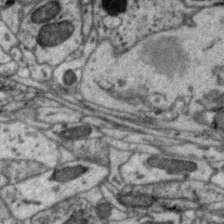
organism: Zebra finch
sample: Brain